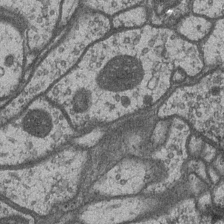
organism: Drosophila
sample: Optic medulla